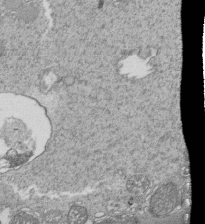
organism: Tetrahymena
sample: Cilia in tetrahymena